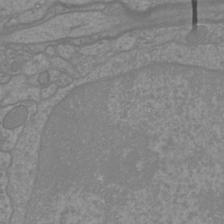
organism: Mouse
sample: Cortical neurons